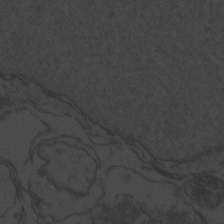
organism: Zebrafish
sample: Macrophage infected with Toxoplasma gondii